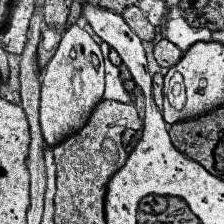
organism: Human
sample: Temporal Lobe